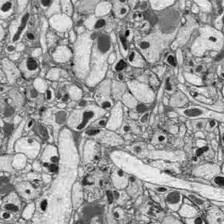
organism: Drosophila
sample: Optic lobe